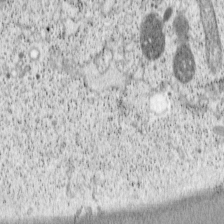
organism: African green monkey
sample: COS-7 cells